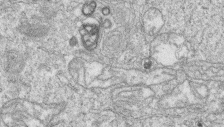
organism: Human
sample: HeLa cell HIV synapse